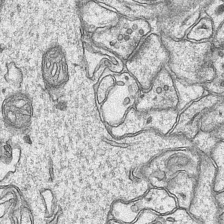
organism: Mouse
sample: CA1 Hippocampus